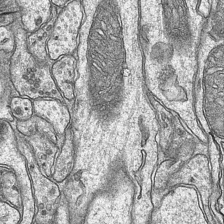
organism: Mouse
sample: CA1 Hippocampus